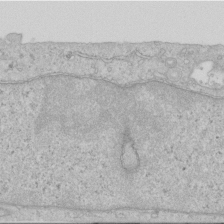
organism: Human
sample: Centriole in RPE cells